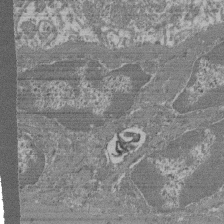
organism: Mouse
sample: Glomerulus